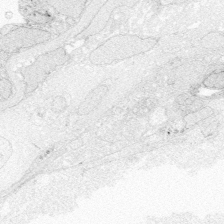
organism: Zebrafish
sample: Whole-Brain